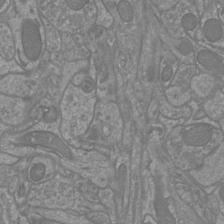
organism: Mouse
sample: Cortical neurons